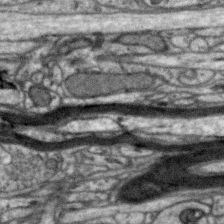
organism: Zebra finch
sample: Brain